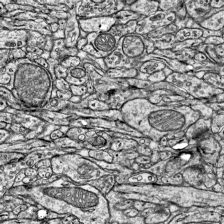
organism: Mouse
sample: Visual Cortex